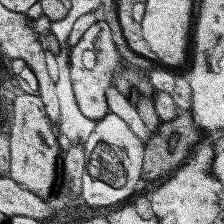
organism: Human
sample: Temporal Lobe